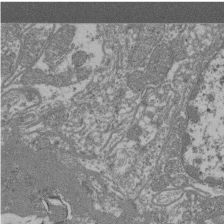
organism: Mouse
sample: Glomerulus